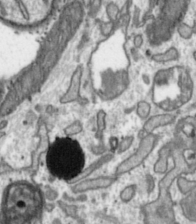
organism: Toxoplasma gondii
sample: Parasites in a vacuole inside a host cell